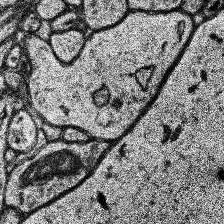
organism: Human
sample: Temporal Lobe